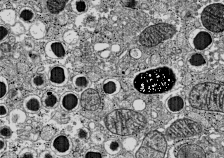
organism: C57BL Mouse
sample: Pancreatic islet